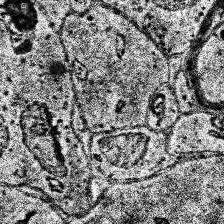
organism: Human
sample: Temporal Lobe